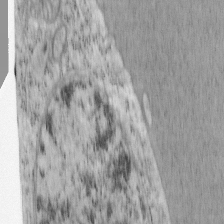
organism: Human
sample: HeLa cells